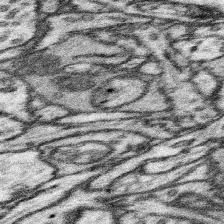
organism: Mouse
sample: Somatosensory cortex neuropil